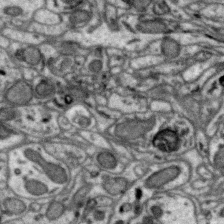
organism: Zebra finch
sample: Brain